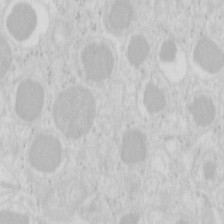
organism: Mouse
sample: Pancreas